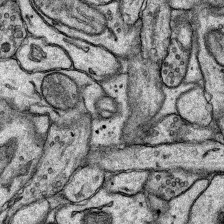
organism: Rat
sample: Hippocampus